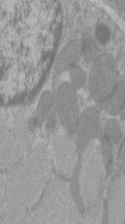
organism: C57BL Mouse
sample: Tibialis anterior muscle cell